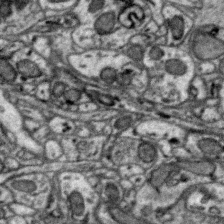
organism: Zebra finch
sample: Brain